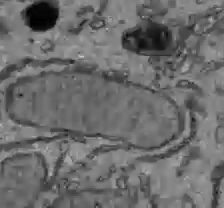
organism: C57BL Mouse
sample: Liver